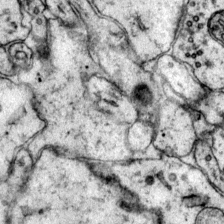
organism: Mouse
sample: Primary visual cortex